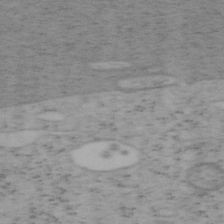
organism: Mouse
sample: OT-I killer T cells with ID8 ovarian cancer cells